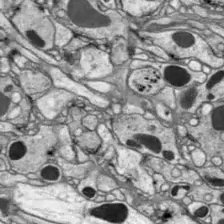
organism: Drosophila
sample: Optic lobe